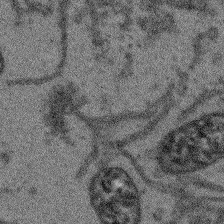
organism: Arabidopsis thaliana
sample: Root tip